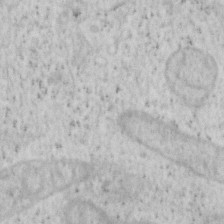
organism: Human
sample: HeLa cells